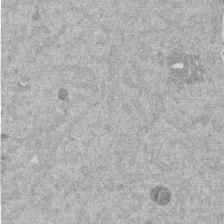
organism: Mouse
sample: Dividing mouse embryo 1 cell stage